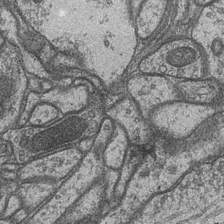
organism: Drosophila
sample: Optic medulla